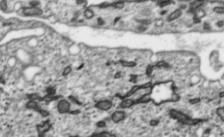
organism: Toxoplasma gondii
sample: Parasites in a vacuole inside a host cell